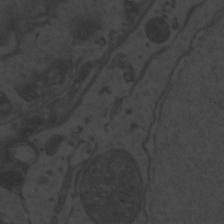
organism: Zebrafish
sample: Macrophage infected with Toxoplasma gondii